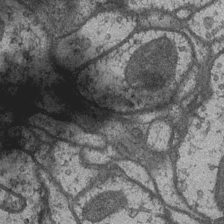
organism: Drosophila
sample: Optic medulla